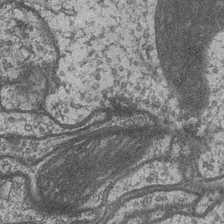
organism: Drosophila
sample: Optic medulla